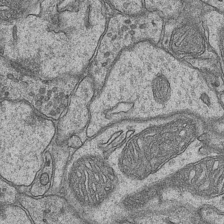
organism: Mouse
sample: CA1 Hippocampus